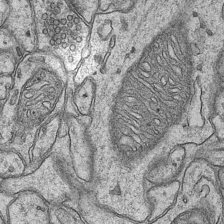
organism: Mouse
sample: CA1 Hippocampus